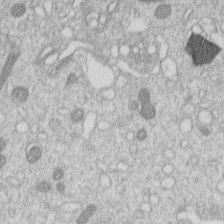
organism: Human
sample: Macrophage cells